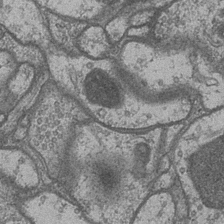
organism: Drosophila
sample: Optic medulla